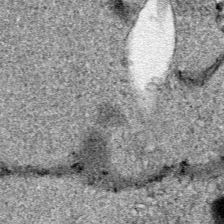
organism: Human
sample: Mitochondria in HCT116 cells